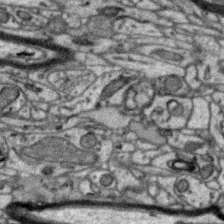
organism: Zebra finch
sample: Brain